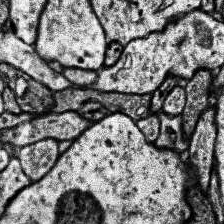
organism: Human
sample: Temporal Lobe